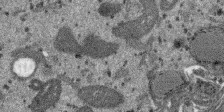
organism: Human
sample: Lung epithelial cells infected with SARS-CoV-2